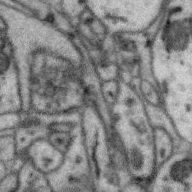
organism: Zebra finch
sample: Brain